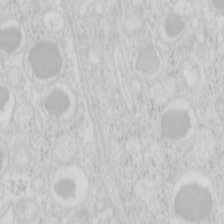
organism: Mouse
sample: Pancreas